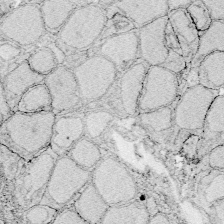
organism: Zebrafish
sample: Whole-Brain